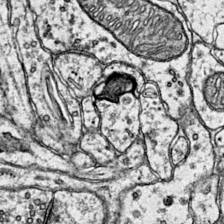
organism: Mouse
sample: Primary visual cortex